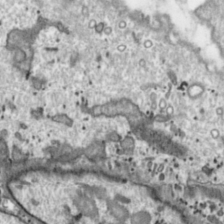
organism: Toxoplasma gondii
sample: Parasites in a vacuole inside a host cell